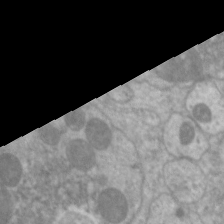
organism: C. elegans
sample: Pharynx